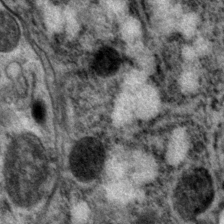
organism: P. pacificus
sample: Pharynx